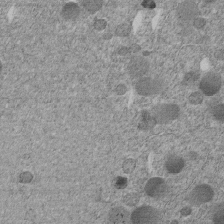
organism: C. elegans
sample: C. elegans embryo early stage